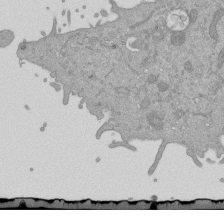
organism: Mouse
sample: ED-1 cell nuclei; centrioles